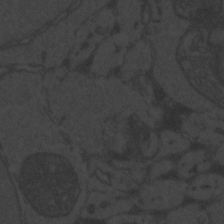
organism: Zebrafish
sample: Macrophage infected with Toxoplasma gondii